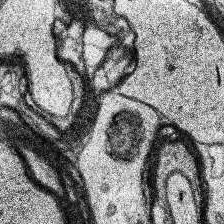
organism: Human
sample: Temporal Lobe